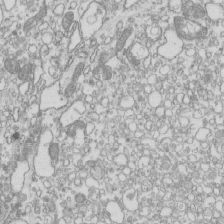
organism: Mouse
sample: Macrophages